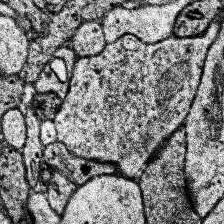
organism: Human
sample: Temporal Lobe